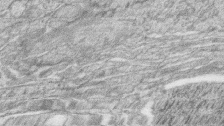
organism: Zebrafish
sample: synaptic ribbons in rod cells and cone cells